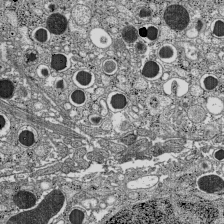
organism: C57BL Mouse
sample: Pancreatic islet